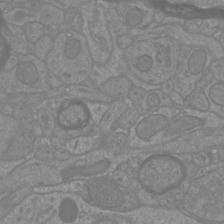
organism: Mouse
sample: Cortical neurons